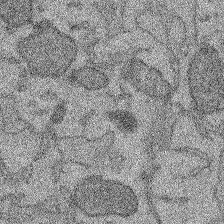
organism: Human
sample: HeLa cells